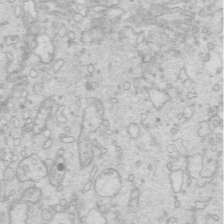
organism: Mouse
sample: Multiciliated cells